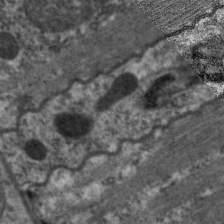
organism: C. elegans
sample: Pharynx